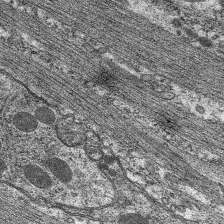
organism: C. elegans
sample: Pharynx